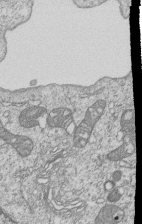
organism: Human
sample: MDA-MB-231 cells